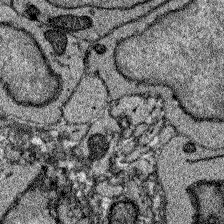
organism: Zebrafish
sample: Larval olfactory bulb